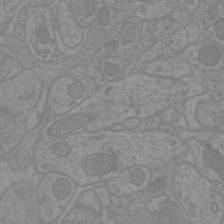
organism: Mouse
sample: Cortical neurons